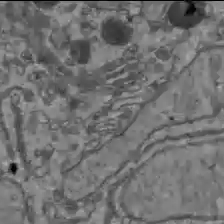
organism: C57BL Mouse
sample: Liver